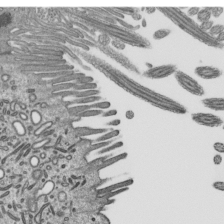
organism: Mouse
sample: Mouse epididymis efferent ductule cilia